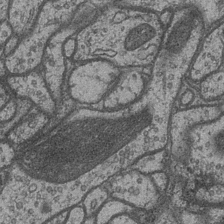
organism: Drosophila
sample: Optic medulla